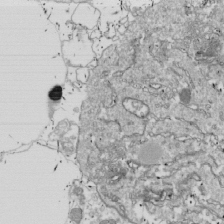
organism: Drosophila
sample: Cell division; meiosis; drosophila spermatocytes